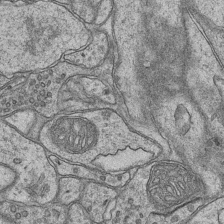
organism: Mouse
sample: CA1 Hippocampus